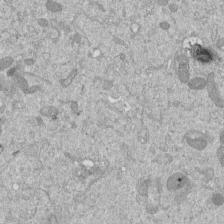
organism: Mouse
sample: ED-1 cell nuclei; centrioles